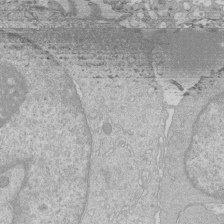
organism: Human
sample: Macrophage cells